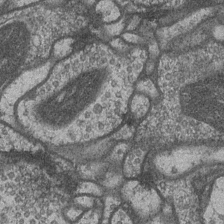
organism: Drosophila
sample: Optic medulla